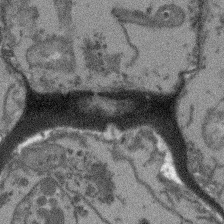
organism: Arabidopsis thaliana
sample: Root tip